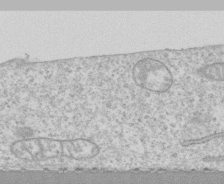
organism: Human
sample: CRL-1474